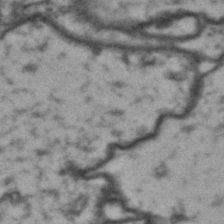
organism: Drosophila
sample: Brain